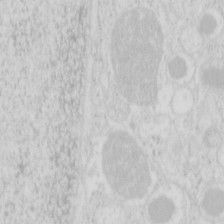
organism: Mouse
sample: Pancreas